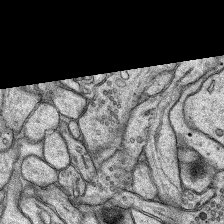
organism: Rat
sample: Hippocampus